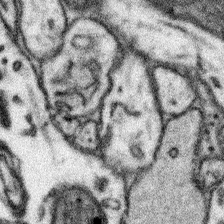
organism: Mouse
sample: Somatosensory cortex neuropil